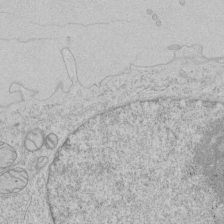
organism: Human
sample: Mitochondria in HCT116 cells